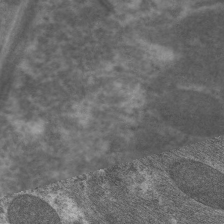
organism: C. elegans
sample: Pharynx